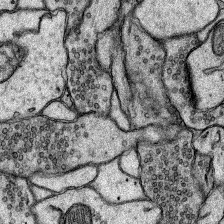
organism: Rat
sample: Hippocampus